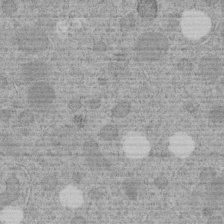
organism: C. elegans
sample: C. elegans embryo early stage